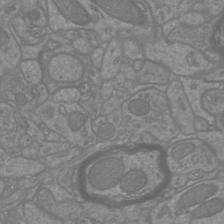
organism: Mouse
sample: Cortical neurons